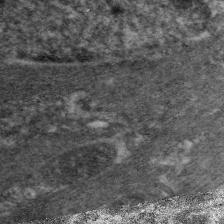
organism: C. elegans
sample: Pharynx